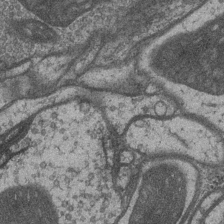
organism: Drosophila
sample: Optic medulla